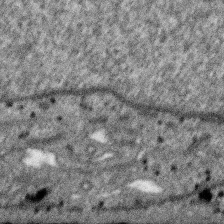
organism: Human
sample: Lung epithelial cells infected with SARS-CoV-2